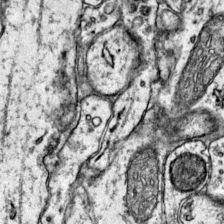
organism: Mouse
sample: Primary visual cortex